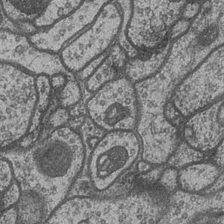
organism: Drosophila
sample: Optic medulla